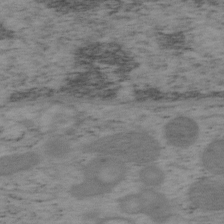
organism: Mouse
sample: OT-I killer T cells with ID8 ovarian cancer cells